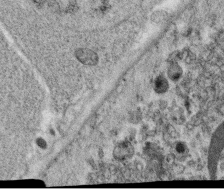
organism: C. elegans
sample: C. elegans oocyte; sperm cells